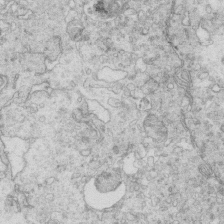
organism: Mouse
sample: Multiciliated cells